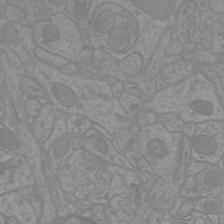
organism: Mouse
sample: Cortical neurons